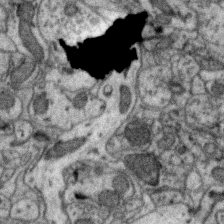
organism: Zebra finch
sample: Brain